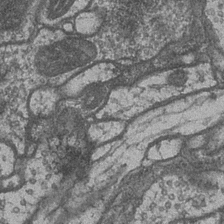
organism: Drosophila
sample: Optic medulla